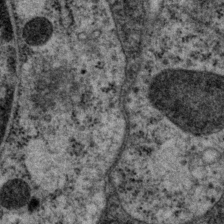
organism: P. pacificus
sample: Pharynx